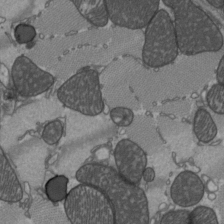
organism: C57BL Mouse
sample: Heart